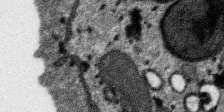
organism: Human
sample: Lung epithelial cells infected with SARS-CoV-2